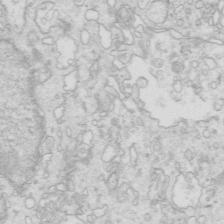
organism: Mouse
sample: Multiciliated cells